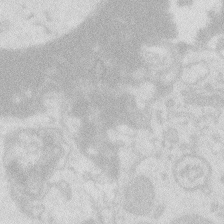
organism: Zebrafish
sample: Macrophage